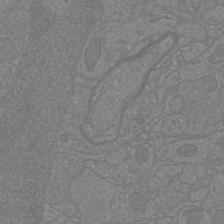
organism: Mouse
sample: Cortical neurons